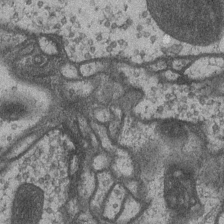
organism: Drosophila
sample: Optic medulla